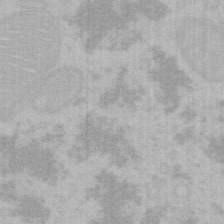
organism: Mouse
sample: Choroid plexus